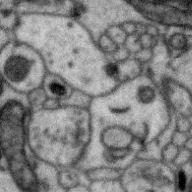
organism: Zebra finch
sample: Brain